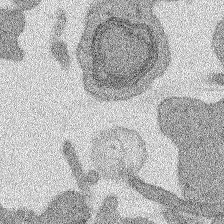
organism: Human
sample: HeLa cells